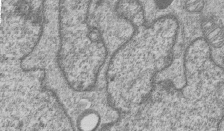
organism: Human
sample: MDA-MB-231 cells